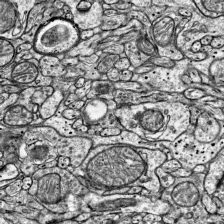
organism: Mouse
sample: Visual Cortex